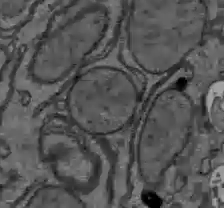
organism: C57BL Mouse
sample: Liver